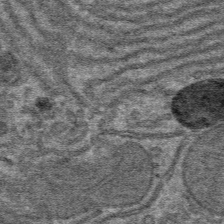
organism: Mouse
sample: Mouse hepatocytes